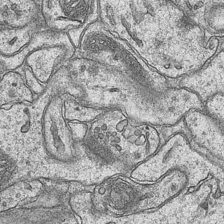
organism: Mouse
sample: CA1 Hippocampus